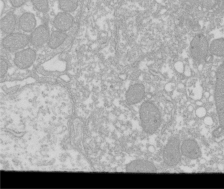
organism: Xenopus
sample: Cilia; centrioles in frog embryo cells